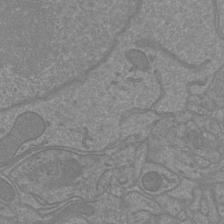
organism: Mouse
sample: Cortical neurons